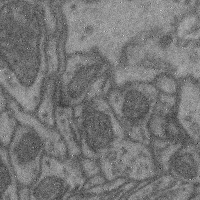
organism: Mouse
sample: Cerebral cortex